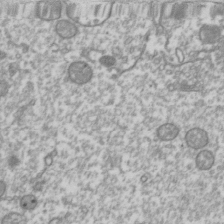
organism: Drosophila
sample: Cell division; meiosis; drosophila spermatocytes